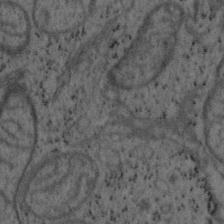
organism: Human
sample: HeLa cells